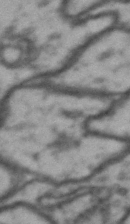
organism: Drosophila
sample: Brain